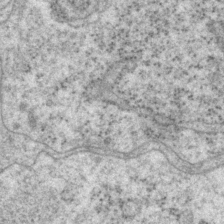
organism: P. pacificus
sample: Pharynx